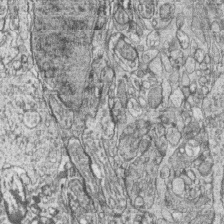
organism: Zebrafish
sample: synaptic ribbons in rod cells and cone cells